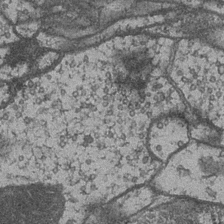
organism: Drosophila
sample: Optic medulla